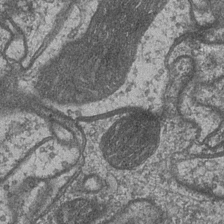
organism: Drosophila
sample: Optic medulla